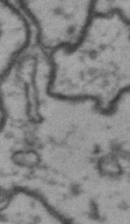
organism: Drosophila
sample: Brain